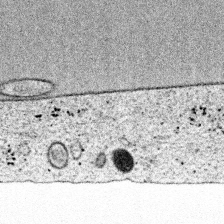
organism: Human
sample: HeLa cells